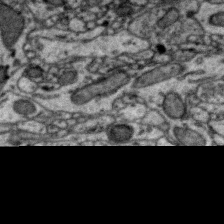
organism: Zebra finch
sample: Brain